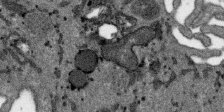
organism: Human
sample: Lung epithelial cells, uninfected (mock) control